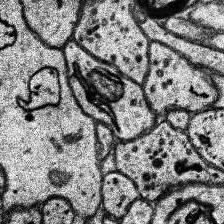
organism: Human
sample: Temporal Lobe